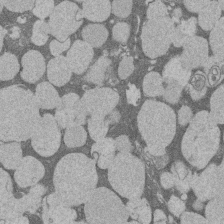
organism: Rat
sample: Salivary granule